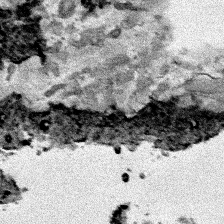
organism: Human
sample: Mitochondria in HCT116 cells